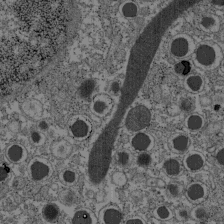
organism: C57BL Mouse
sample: Pancreatic islet